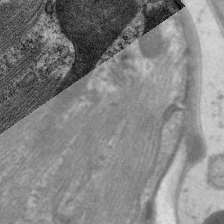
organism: C. elegans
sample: Pharynx